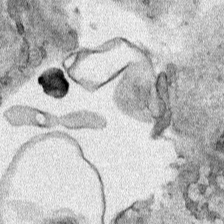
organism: Human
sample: Mitochondria in HCT116 cells